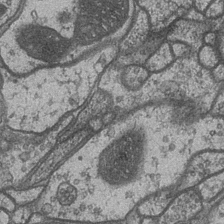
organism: Drosophila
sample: Optic medulla